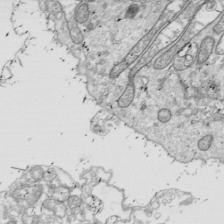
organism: Drosophila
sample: Cell division; meiosis; drosophila spermatocytes